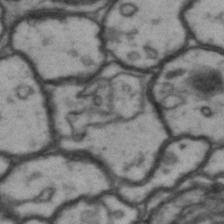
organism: Drosophila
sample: Brain